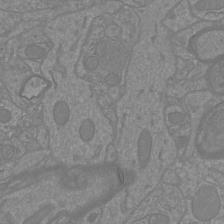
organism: Mouse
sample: Cortical neurons